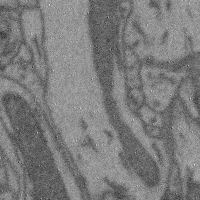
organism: Mouse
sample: Cerebral cortex